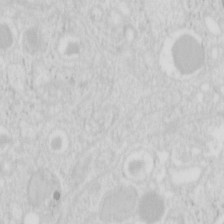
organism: Mouse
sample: Pancreas